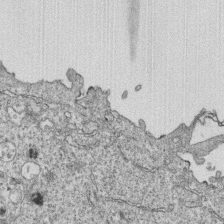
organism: Human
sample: HeLa cell HIV synapse